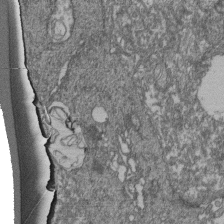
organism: Human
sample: Retinal organoid Rod and Cone cells